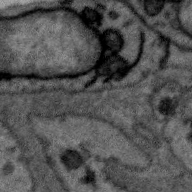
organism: Zebra finch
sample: Brain